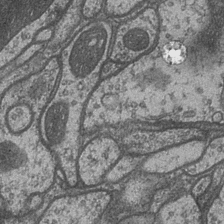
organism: Drosophila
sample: Optic medulla